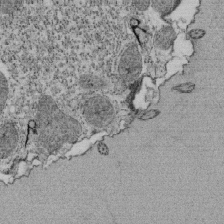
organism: Tetrahymena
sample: Cilia in tetrahymena